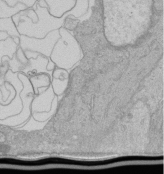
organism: Human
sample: Retinal organoid Rod and Cone cells